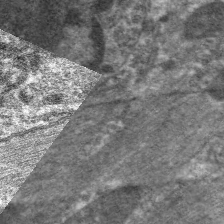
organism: C. elegans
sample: Pharynx